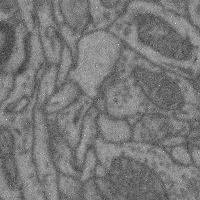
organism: Mouse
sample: Cerebral cortex